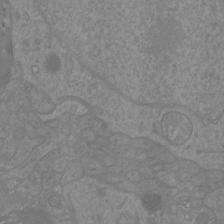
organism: Mouse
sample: Cortical neurons